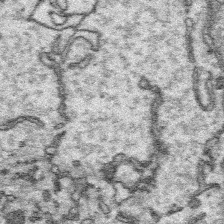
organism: Platynereis dumerilii